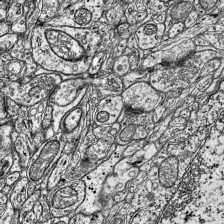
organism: Mouse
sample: Visual Cortex